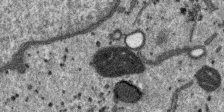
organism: Human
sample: Lung epithelial cells infected with SARS-CoV-2